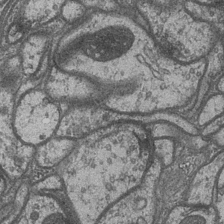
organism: Drosophila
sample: Optic medulla